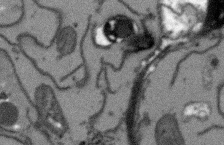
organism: Arabidopsis thaliana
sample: Root tip